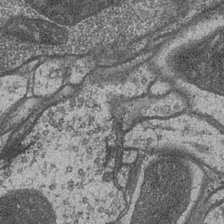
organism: Drosophila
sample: Optic medulla